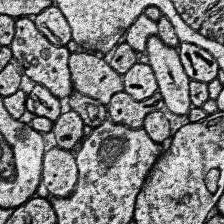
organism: Human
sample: Temporal Lobe